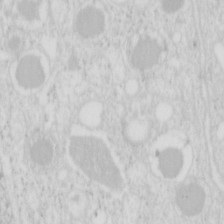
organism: Mouse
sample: Pancreas